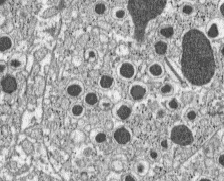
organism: C57BL Mouse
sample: Pancreatic islet